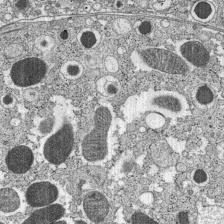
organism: C57BL Mouse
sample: Pancreatic islet